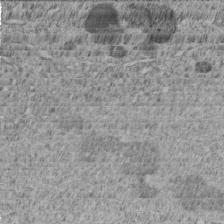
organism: C. elegans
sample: C. elegans embryo early stage